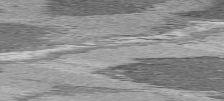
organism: C57BL Mouse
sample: Heart